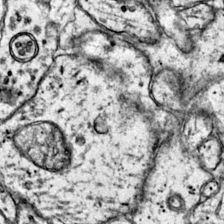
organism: Mouse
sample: Primary visual cortex